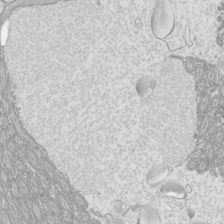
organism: Mouse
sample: Cilia; mouse epididymis